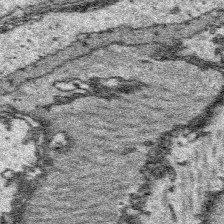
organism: Platynereis dumerilii